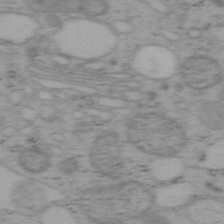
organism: Mouse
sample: OT-I killer T cells with ID8 ovarian cancer cells